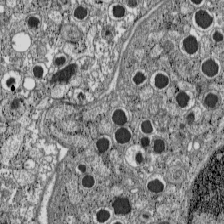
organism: C57BL Mouse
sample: Pancreatic islet